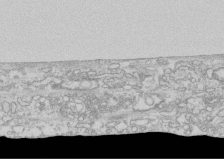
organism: Human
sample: CRL-1474